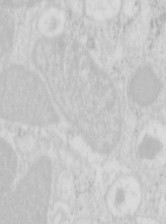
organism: Mouse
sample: Pancreas